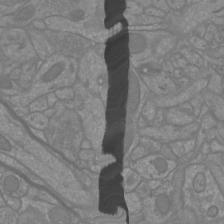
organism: Mouse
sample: Cortical neurons